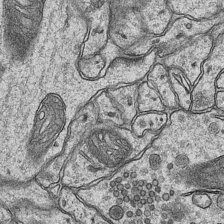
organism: Mouse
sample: CA1 Hippocampus